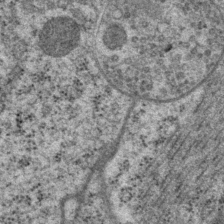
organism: P. pacificus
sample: Pharynx